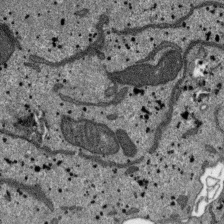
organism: Human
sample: Lung epithelial cells, uninfected (mock) control